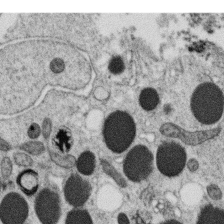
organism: C. elegans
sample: C. elegans oocyte; sperm cells